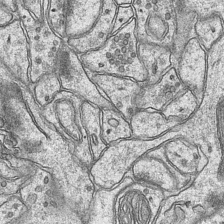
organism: Mouse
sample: CA1 Hippocampus